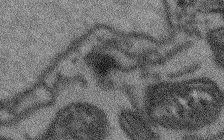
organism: Arabidopsis thaliana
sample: Root tip